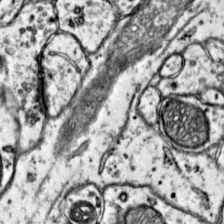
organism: Mouse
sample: Primary visual cortex